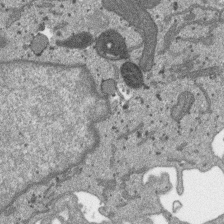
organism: Human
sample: Lung epithelial cells infected with SARS-CoV-2